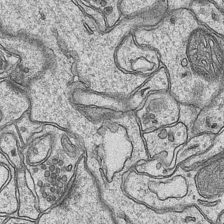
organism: Mouse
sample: CA1 Hippocampus